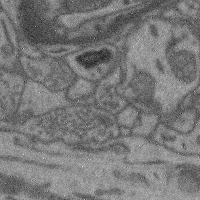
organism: Mouse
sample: Cerebral cortex